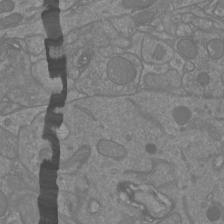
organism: Mouse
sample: Cortical neurons